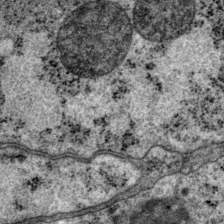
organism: P. pacificus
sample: Pharynx